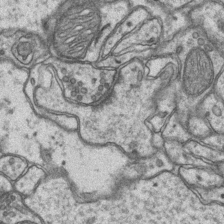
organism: Mouse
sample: CA1 Hippocampus